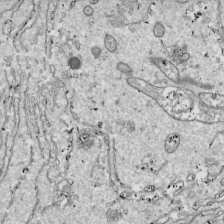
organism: Drosophila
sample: Cell division; meiosis; drosophila spermatocytes